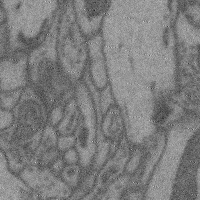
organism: Mouse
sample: Cerebral cortex